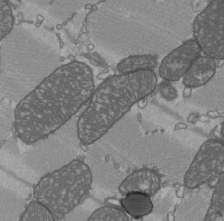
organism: C57BL Mouse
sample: Heart